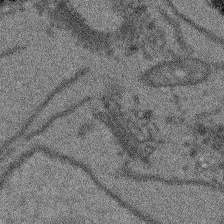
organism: Arabidopsis thaliana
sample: Root tip